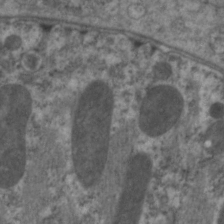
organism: C. elegans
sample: Pharynx